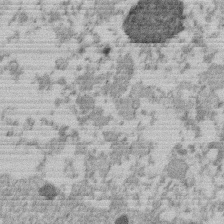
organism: Mouse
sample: Dividing mouse embryo 1 cell stage